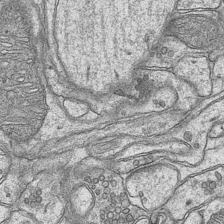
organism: Mouse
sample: CA1 Hippocampus